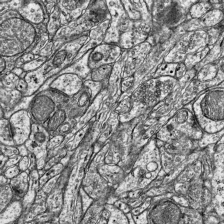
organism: Mouse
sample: Visual Cortex